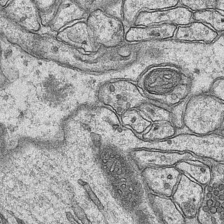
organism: Mouse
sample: CA1 Hippocampus